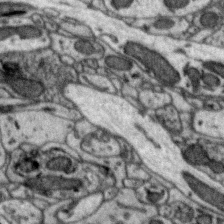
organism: Zebra finch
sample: Brain